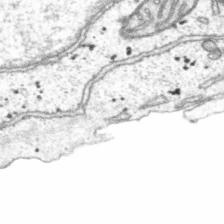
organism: Human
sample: HeLa cells